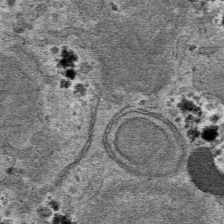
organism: Mouse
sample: Mouse hepatocytes